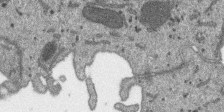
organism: Human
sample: Lung epithelial cells infected with SARS-CoV-2